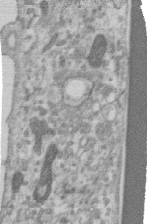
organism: Human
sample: Centriole in RPE cells